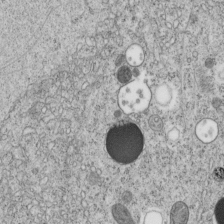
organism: C. elegans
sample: C. elegans embryo early stage